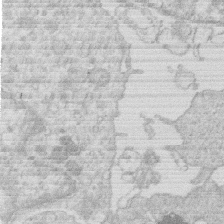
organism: Human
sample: Macrophage cells